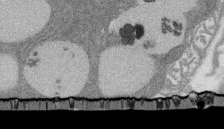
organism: Rat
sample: Salivary granule